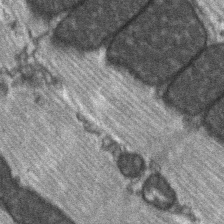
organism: C57BL Mouse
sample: Soleus